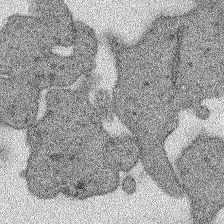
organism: Human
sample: HeLa cells